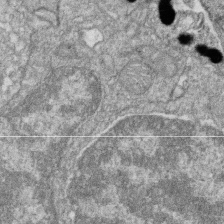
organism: Zebrafish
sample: Cilia; retinal pigment epithelium